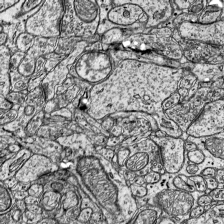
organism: Mouse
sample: Visual Cortex